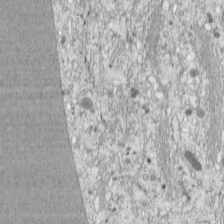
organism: African green monkey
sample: COS-7 cells